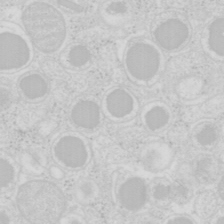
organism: Mouse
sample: Pancreas